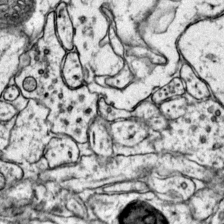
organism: Mouse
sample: Primary visual cortex